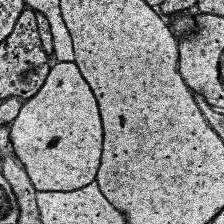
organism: Human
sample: Temporal Lobe